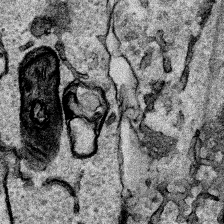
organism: Human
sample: Mitochondria in HCT116 cells